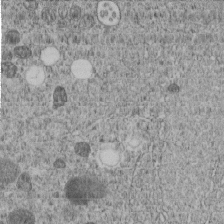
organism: C. elegans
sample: C. elegans embryo early stage